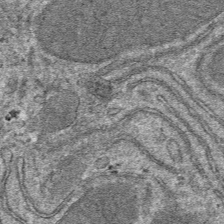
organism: Mouse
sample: Mouse hepatocytes